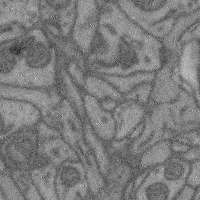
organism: Mouse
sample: Cerebral cortex